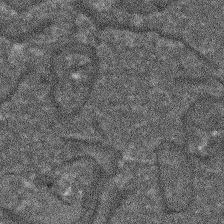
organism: Arabidopsis thaliana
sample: Root tip